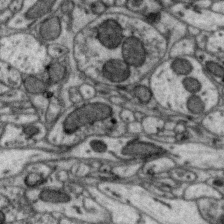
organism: Zebra finch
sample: Brain